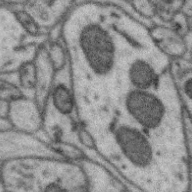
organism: Zebra finch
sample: Brain